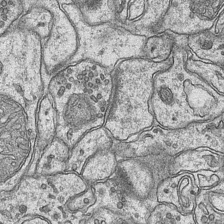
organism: Mouse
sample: CA1 Hippocampus